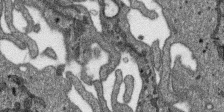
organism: Human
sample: Lung epithelial cells infected with SARS-CoV-2